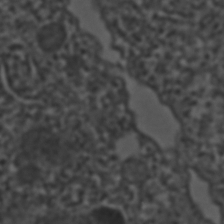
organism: C. elegans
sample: C. elegans embryo